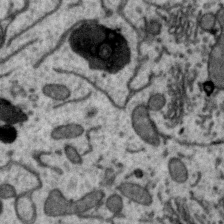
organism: Zebra finch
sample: Brain